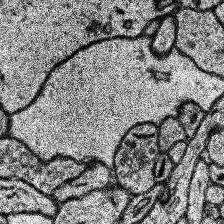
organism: Human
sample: Temporal Lobe